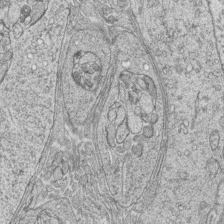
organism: Zebrafish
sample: synaptic ribbons in rod cells and cone cells